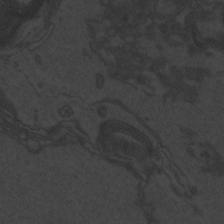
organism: Zebrafish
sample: Macrophage infected with Toxoplasma gondii